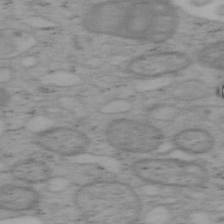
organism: Mouse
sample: OT-I killer T cells with ID8 ovarian cancer cells